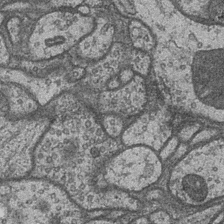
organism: Drosophila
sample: Optic medulla